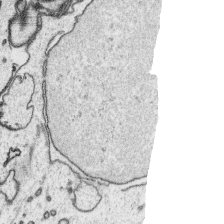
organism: Platynereis dumerilii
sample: Parapodia